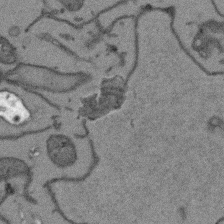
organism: Arabidopsis thaliana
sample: Root tip